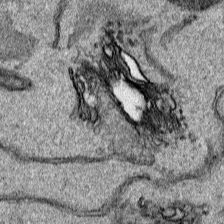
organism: Human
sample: Mitochondria in HCT116 cells